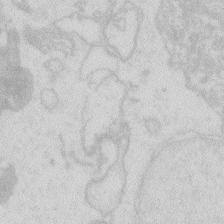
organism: Zebrafish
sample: Macrophage